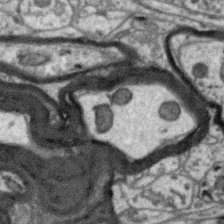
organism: Zebra finch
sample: Brain